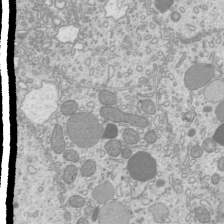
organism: Mouse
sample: Cilia; mouse epididymis